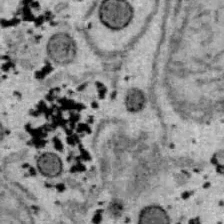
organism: Mouse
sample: Liver from an obese (ob/ob) mouse